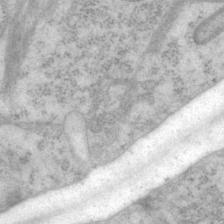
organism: P. pacificus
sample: Pharynx